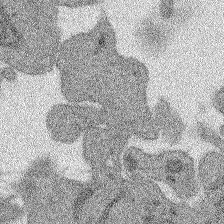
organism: Human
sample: HeLa cells